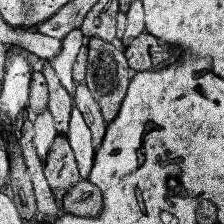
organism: Human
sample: Temporal Lobe